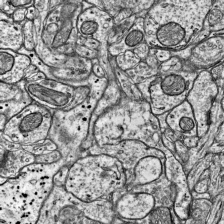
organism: Mouse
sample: Visual Cortex